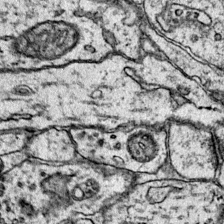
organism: Mouse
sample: Primary visual cortex